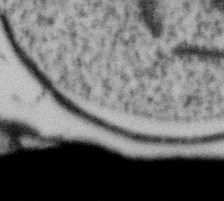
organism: Gemmata obscuriglobus